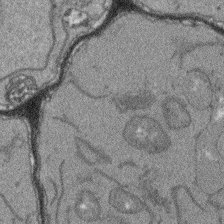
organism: Arabidopsis thaliana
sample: Root tip